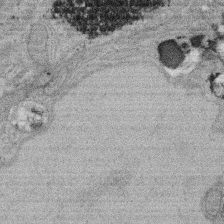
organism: Rat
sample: Salivary granule